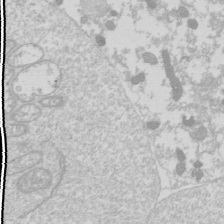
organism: Drosophila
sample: Cell division; meiosis; drosophila spermatocytes